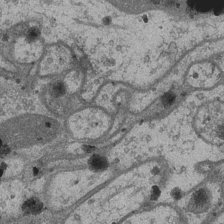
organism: Drosophila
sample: Optic medulla